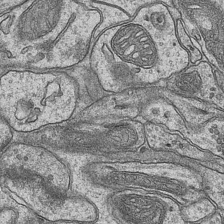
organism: Mouse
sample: CA1 Hippocampus